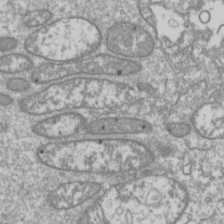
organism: Drosophila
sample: Cell division; meiosis; drosophila spermatocytes